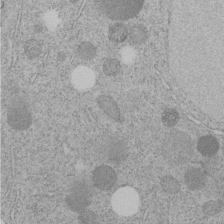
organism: C. elegans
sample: C. elegans embryo early stage